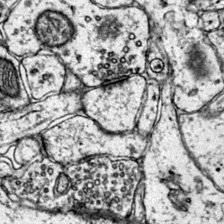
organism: Mouse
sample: Primary visual cortex